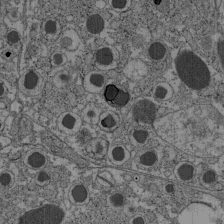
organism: C57BL Mouse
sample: Pancreatic islet